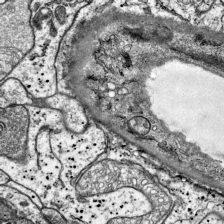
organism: Mouse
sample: Visual Cortex